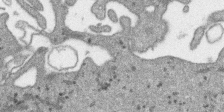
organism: Human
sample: Lung epithelial cells infected with SARS-CoV-2